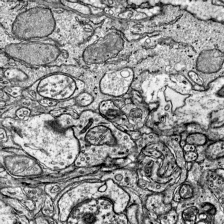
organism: Mouse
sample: Visual Cortex